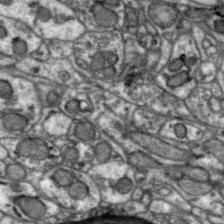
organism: Zebra finch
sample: Brain